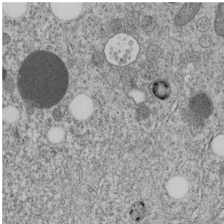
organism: C. elegans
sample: C. elegans embryo early stage